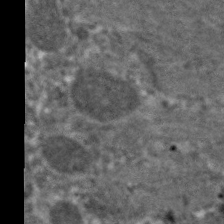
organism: C. elegans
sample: Pharynx